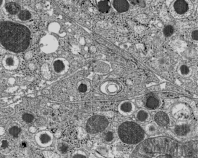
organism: C57BL Mouse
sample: Pancreatic islet